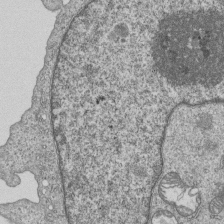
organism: Human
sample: MDA-MB-231 cells